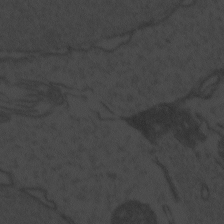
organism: Zebrafish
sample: Macrophage infected with Toxoplasma gondii